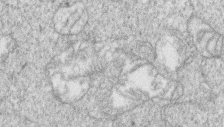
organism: Human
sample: HeLa cell HIV synapse